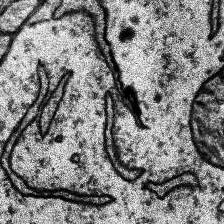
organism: Human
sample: Temporal Lobe